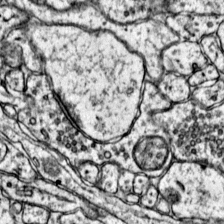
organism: Mouse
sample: Primary visual cortex